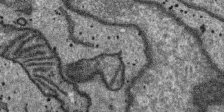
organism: Human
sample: Lung epithelial cells, uninfected (mock) control